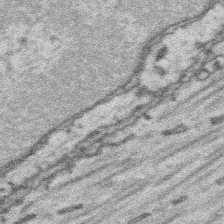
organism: Platynereis dumerilii